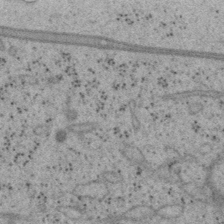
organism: Human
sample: HeLa cells